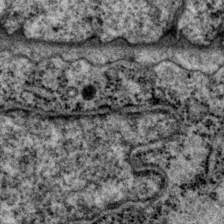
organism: P. pacificus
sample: Pharynx